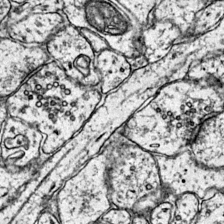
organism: Mouse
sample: Primary visual cortex